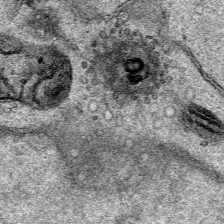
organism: Human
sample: Mitochondria in HCT116 cells